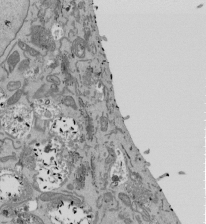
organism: Mouse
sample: ED-1 cell nuclei; centrioles